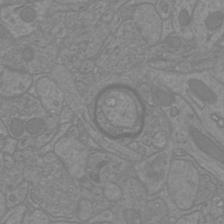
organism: Mouse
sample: Cortical neurons